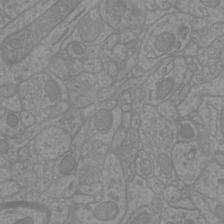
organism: Mouse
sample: Cortical neurons